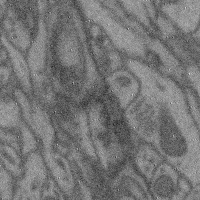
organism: Mouse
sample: Cerebral cortex